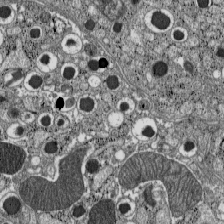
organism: C57BL Mouse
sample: Pancreatic islet